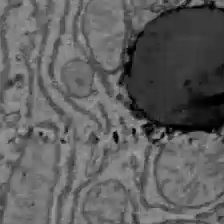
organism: C57BL Mouse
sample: Liver